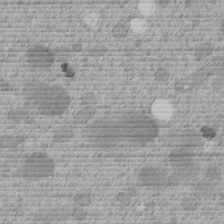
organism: C. elegans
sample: C. elegans embryo early stage